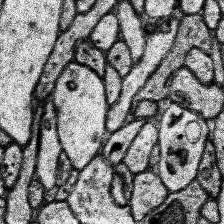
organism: Human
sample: Temporal Lobe